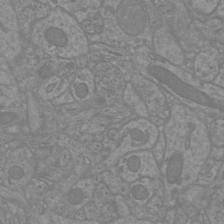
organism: Mouse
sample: Cortical neurons